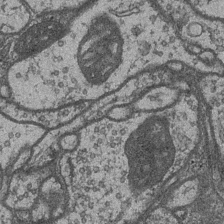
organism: Drosophila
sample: Optic medulla